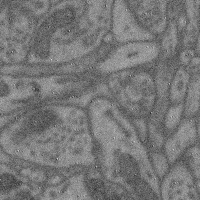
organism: Mouse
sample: Cerebral cortex